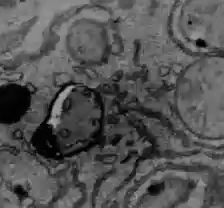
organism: C57BL Mouse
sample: Liver